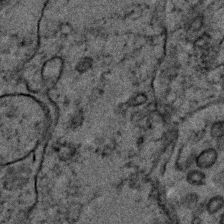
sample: Trachea